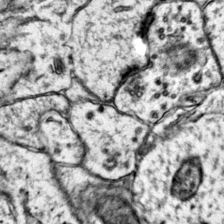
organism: Mouse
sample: Primary visual cortex